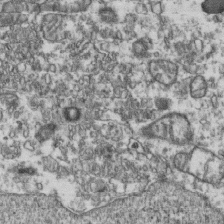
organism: Human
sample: Activated Jurkat CD4+ T cells